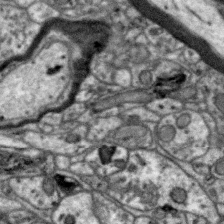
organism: Zebra finch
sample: Brain